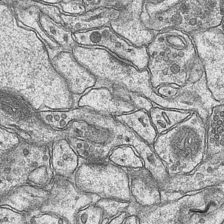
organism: Mouse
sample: CA1 Hippocampus